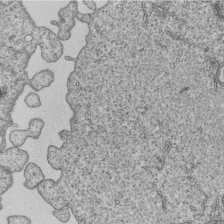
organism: Human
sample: MDA-MB-231 cells